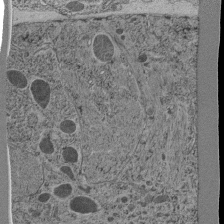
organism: C. elegans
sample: C. elegans pharynx